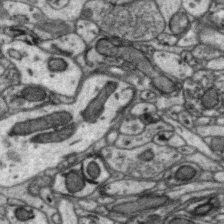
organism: Zebra finch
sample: Brain